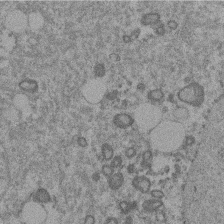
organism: Mouse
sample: Dividing mouse embryo 1 cell stage